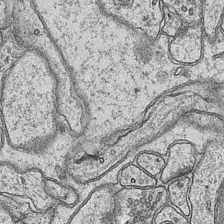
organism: Mouse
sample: CA1 Hippocampus